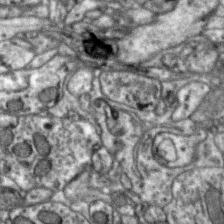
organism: Zebra finch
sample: Brain